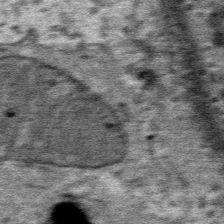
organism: Mouse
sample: Mouse Salivary gland